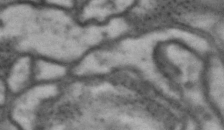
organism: Drosophila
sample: Brain